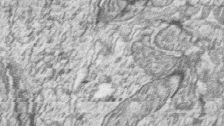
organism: Zebrafish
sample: synaptic ribbons in rod cells and cone cells